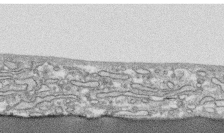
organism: Human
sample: CRL-1474